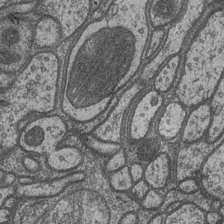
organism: Drosophila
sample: Optic medulla